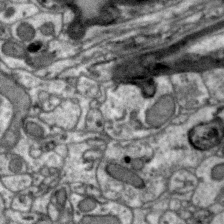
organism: Zebra finch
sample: Brain